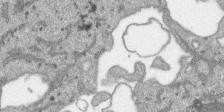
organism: Human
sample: Lung epithelial cells infected with SARS-CoV-2